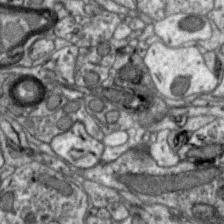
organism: Zebra finch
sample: Brain